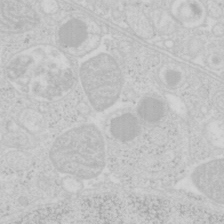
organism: Mouse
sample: Pancreas